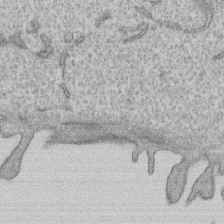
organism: Human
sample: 1205lu cells